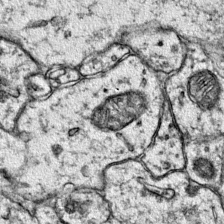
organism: Mouse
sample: Primary visual cortex